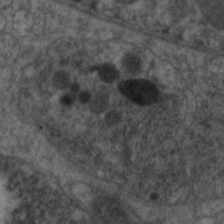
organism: C. elegans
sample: Pharynx